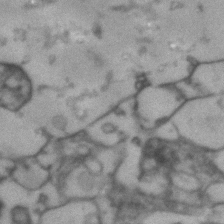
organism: Human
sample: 1205lu cells